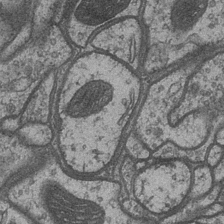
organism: Drosophila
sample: Optic medulla